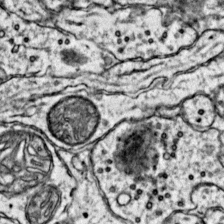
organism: Mouse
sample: Primary visual cortex